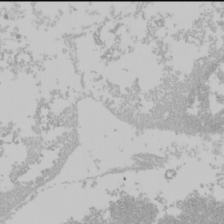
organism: Mouse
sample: Cancer cell death in ED-1 cells